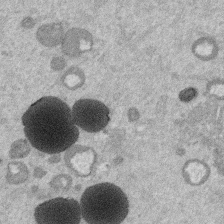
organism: Mouse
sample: Dividing mouse embryo 1 cell stage